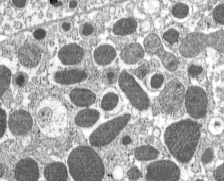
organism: C57BL Mouse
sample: Pancreatic islet